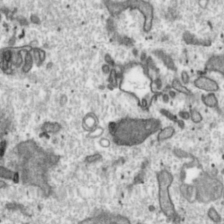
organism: Toxoplasma gondii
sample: Parasites in a vacuole inside a host cell